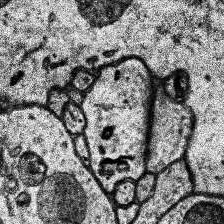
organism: Human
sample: Temporal Lobe